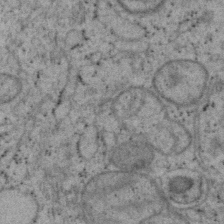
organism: Human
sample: HeLa cells